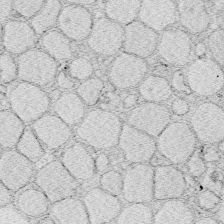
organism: Zebrafish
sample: Whole-Brain